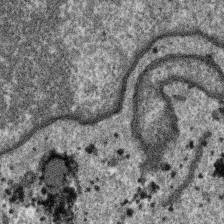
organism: Human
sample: Lung epithelial cells infected with SARS-CoV-2